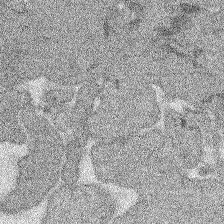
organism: Human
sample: HeLa cells